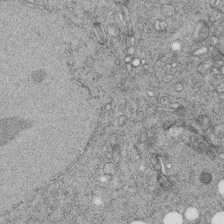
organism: C. elegans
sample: C. elegans embryo early stage